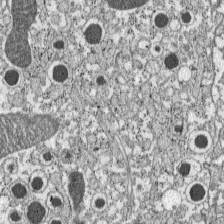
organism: C57BL Mouse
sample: Pancreatic islet